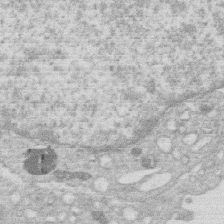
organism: Human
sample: Macrophage cells